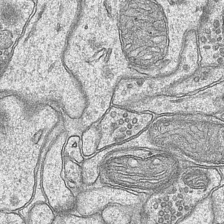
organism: Mouse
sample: CA1 Hippocampus